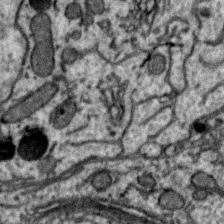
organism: Zebra finch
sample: Brain